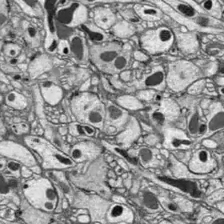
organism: Drosophila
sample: Optic lobe